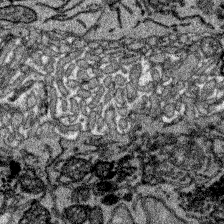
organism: Zebrafish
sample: Larval olfactory bulb